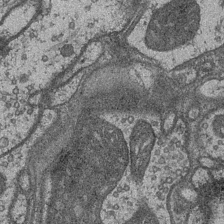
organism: Drosophila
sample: Optic medulla